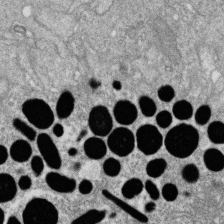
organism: Zebrafish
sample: Cilia; retinal pigment epithelium